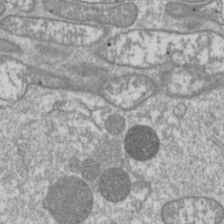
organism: Drosophila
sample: Cell division; meiosis; drosophila spermatocytes